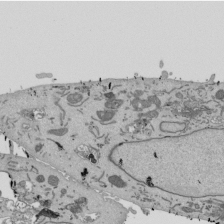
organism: Mouse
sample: ED-1 cell nuclei; centrioles